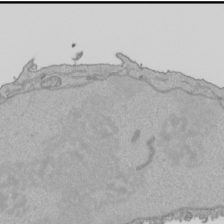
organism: Human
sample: Mitochondria in HCT116 cells